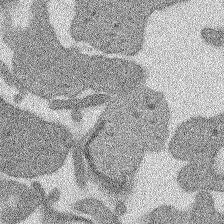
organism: Human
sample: HeLa cells